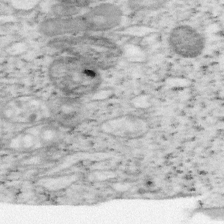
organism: Mouse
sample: OT-I killer T cells with ID8 ovarian cancer cells